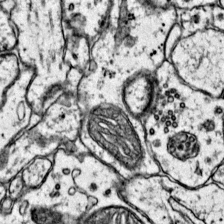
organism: Mouse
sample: Primary visual cortex